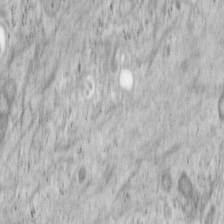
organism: Human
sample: HeLa cells